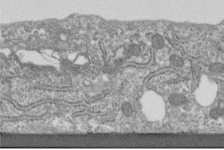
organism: Human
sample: Centriole in fibroblast cells